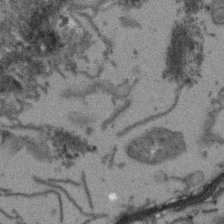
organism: Arabidopsis thaliana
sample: Root tip